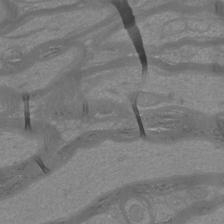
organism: Mouse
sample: Cortical neurons